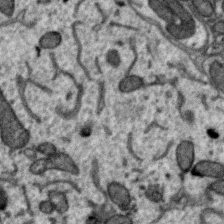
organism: Zebra finch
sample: Brain